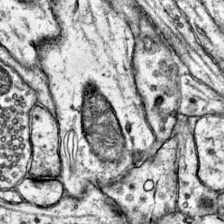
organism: Mouse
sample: Primary visual cortex